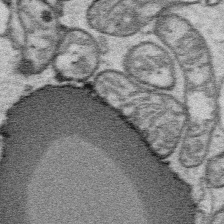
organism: Platynereis dumerilii